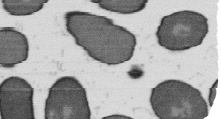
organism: B. subtilis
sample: Bacterial spore